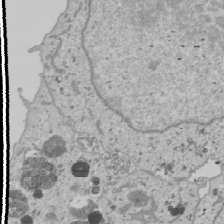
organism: Human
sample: Mitochondria in U2OS cells